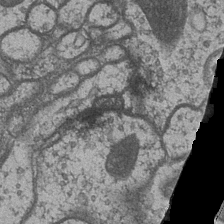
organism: Drosophila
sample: Optic medulla